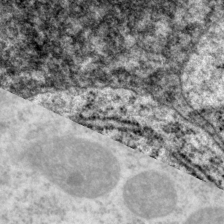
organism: P. pacificus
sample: Pharynx